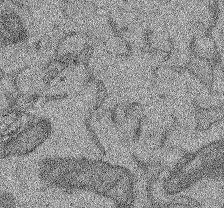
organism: Human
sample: HeLa cells